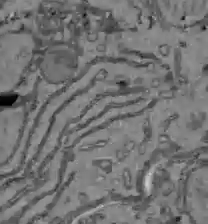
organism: C57BL Mouse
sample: Liver